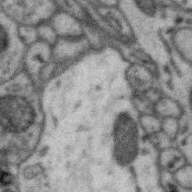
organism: Zebra finch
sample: Brain